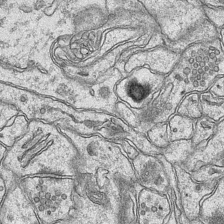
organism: Mouse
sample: CA1 Hippocampus